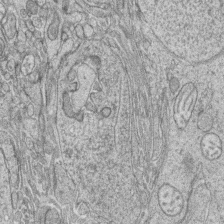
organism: Zebrafish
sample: synaptic ribbons in rod cells and cone cells